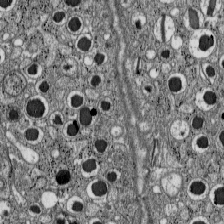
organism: C57BL Mouse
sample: Pancreatic islet